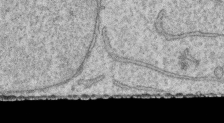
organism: Human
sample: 1205lu cells